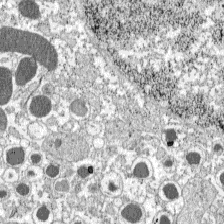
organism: C57BL Mouse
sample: Pancreatic islet